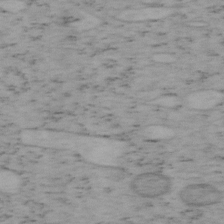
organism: Mouse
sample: OT-I killer T cells with ID8 ovarian cancer cells